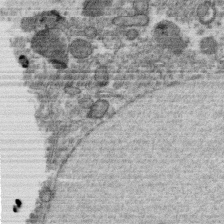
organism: C. elegans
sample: C. elegans oocyte; sperm cells